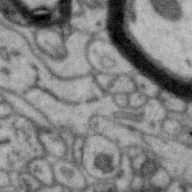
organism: Zebra finch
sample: Brain